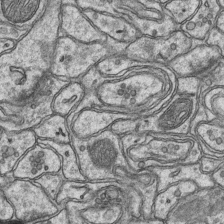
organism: Mouse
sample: CA1 Hippocampus